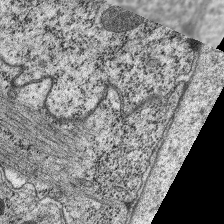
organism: C. elegans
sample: Pharynx